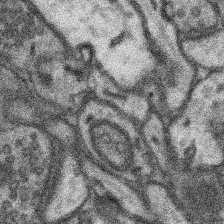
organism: Mouse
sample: Somatosensory cortex neuropil